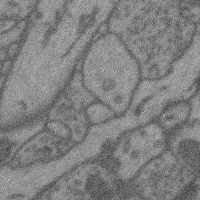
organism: Mouse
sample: Cerebral cortex